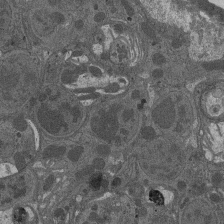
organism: Drosophila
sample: Antenna